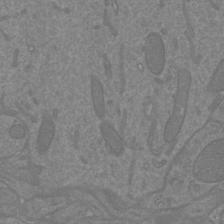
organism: Mouse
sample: Cortical neurons